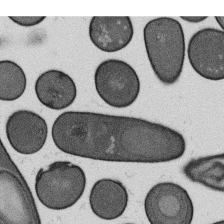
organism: B. subtilis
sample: Bacterial spore